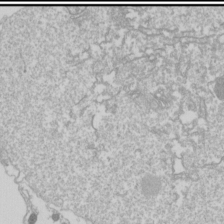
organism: Drosophila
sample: Cell division; meiosis; drosophila spermatocytes